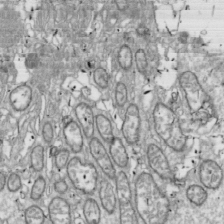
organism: Drosophila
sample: Cell division; meiosis; drosophila spermatocytes